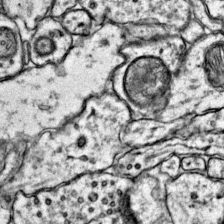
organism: Mouse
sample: Primary visual cortex